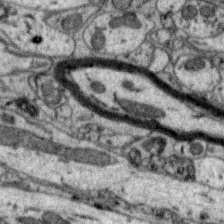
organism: Zebra finch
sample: Brain